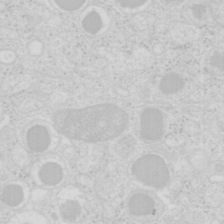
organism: Mouse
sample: Pancreas